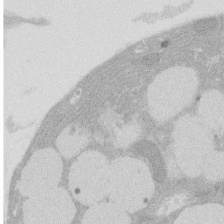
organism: Rat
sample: Salivary granule